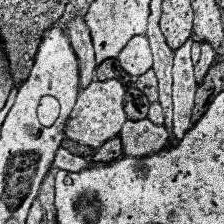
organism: Human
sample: Temporal Lobe